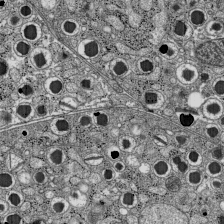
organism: C57BL Mouse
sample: Pancreatic islet